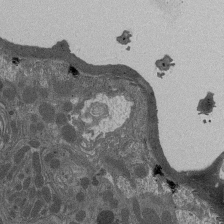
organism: Drosophila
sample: Antenna